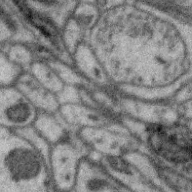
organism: Zebra finch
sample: Brain